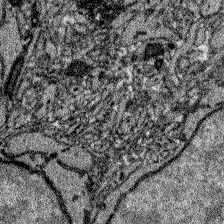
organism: Zebrafish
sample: Larval olfactory bulb